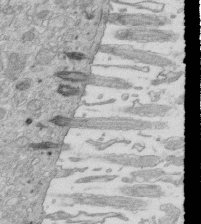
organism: Mouse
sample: Multiciliated cells